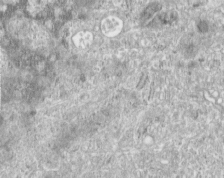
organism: Human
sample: Centriole in RPE cells